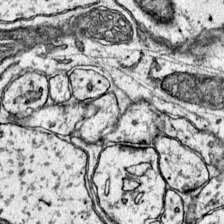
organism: Mouse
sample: Primary visual cortex